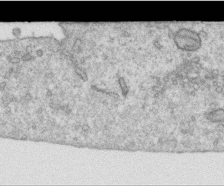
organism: Human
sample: Centriole in RPE cells